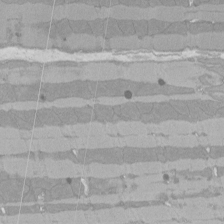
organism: Rat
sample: Left ventricle